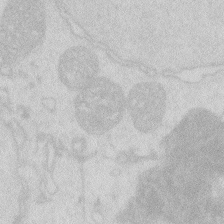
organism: Zebrafish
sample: Macrophage